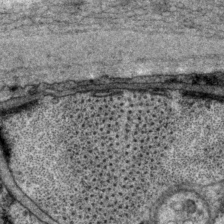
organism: P. pacificus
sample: Pharynx